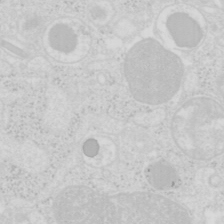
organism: Mouse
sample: Pancreas